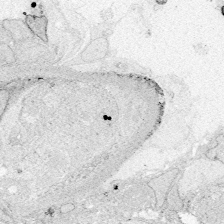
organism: Zebrafish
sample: Whole-Brain